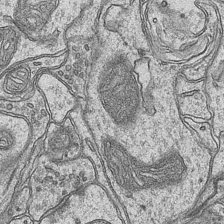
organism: Mouse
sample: CA1 Hippocampus